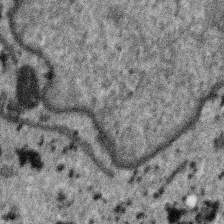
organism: Human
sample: Lung epithelial cells infected with SARS-CoV-2